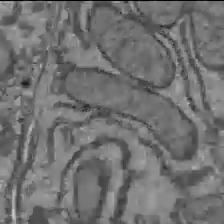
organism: C57BL Mouse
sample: Liver